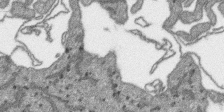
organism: Human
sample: Lung epithelial cells infected with SARS-CoV-2